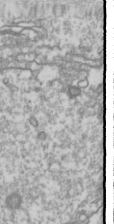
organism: Drosophila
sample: Cell division; meiosis; drosophila spermatocytes